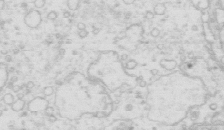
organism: Mouse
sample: Multiciliated cells